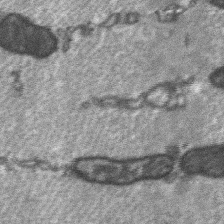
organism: C57BL Mouse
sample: Soleus